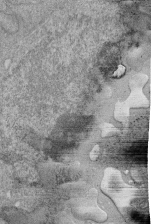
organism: Human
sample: Retinal organoid Rod and Cone cells